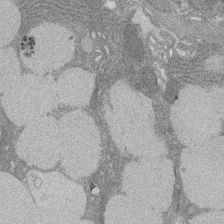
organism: Rat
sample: Salivary granule